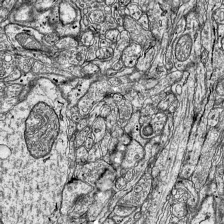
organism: Mouse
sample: Visual Cortex